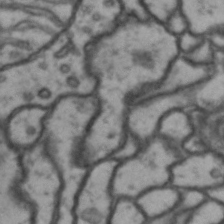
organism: Drosophila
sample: Brain